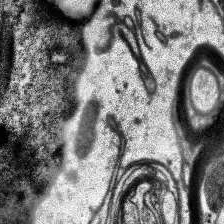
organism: Human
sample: Temporal Lobe